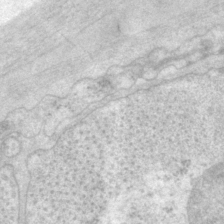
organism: P. pacificus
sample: Pharynx